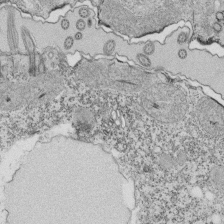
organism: Tetrahymena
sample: Cilia in tetrahymena